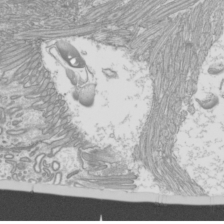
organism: Mouse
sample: Cilia; mouse epididymis